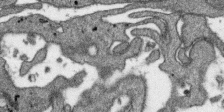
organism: Human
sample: Lung epithelial cells, uninfected (mock) control